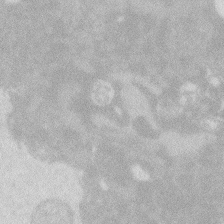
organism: Zebrafish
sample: Macrophage